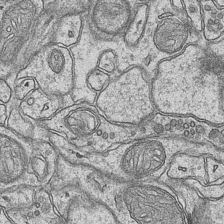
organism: Mouse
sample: CA1 Hippocampus